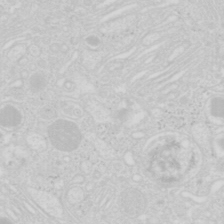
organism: Mouse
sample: Pancreas